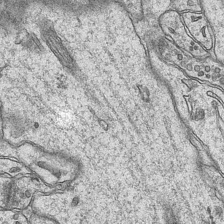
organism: Mouse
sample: CA1 Hippocampus